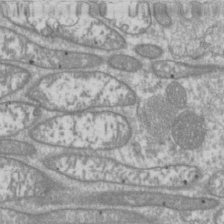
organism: Drosophila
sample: Cell division; meiosis; drosophila spermatocytes